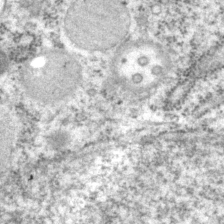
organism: P. pacificus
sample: Pharynx